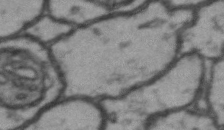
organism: Drosophila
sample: Brain